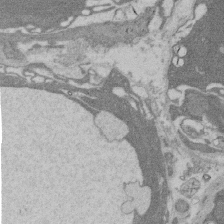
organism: Rat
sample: Salivary granule